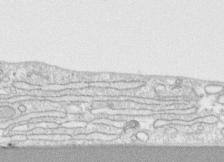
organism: Human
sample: CRL-1474